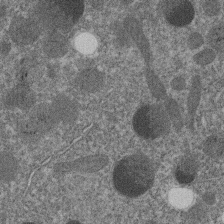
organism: C. elegans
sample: C. elegans embryo early stage